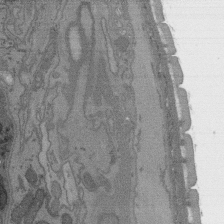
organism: C. elegans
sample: AFD neurons C. elegans